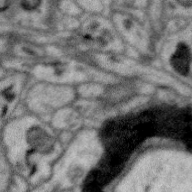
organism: Zebra finch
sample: Brain